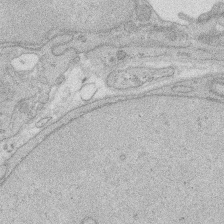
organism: Rat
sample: Salivary granule